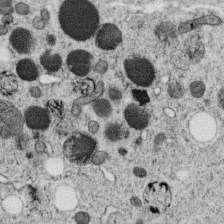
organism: C. elegans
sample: C. elegans oocyte; sperm cells